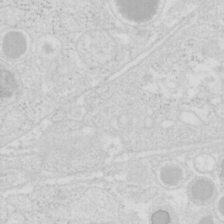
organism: Mouse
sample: Pancreas